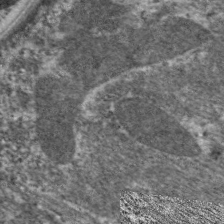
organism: C. elegans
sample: Pharynx